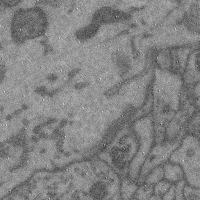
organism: Mouse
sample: Cerebral cortex